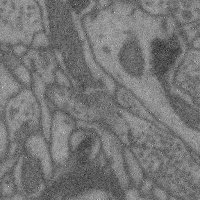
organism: Mouse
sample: Cerebral cortex